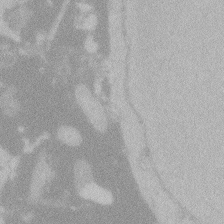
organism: Zebrafish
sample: Macrophage infected with Toxoplasma gondii